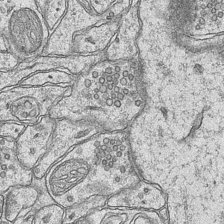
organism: Mouse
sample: CA1 Hippocampus